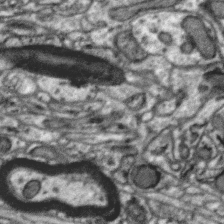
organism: Zebra finch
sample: Brain